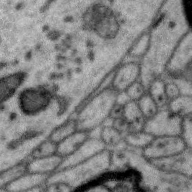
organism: Zebra finch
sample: Brain